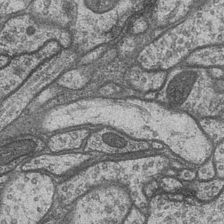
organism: Drosophila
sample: Optic medulla